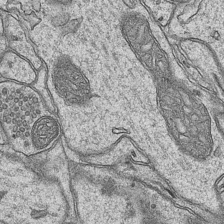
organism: Mouse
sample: CA1 Hippocampus